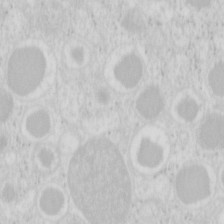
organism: Mouse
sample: Pancreas